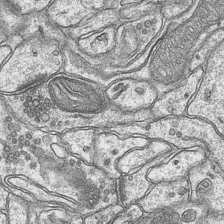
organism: Mouse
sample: CA1 Hippocampus